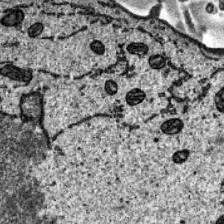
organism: Human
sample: HeLa cells